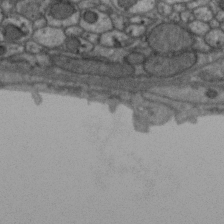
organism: Zebra finch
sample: Brain